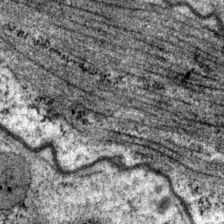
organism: P. pacificus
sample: Pharynx